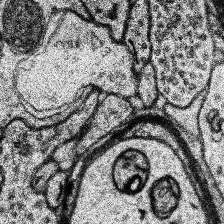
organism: Human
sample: Temporal Lobe